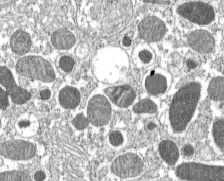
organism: C57BL Mouse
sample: Pancreatic islet